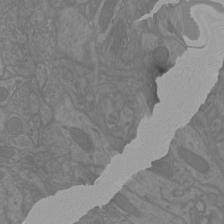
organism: Mouse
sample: Cortical neurons